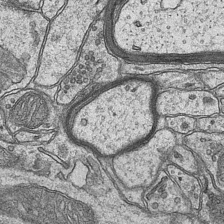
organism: Mouse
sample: CA1 Hippocampus